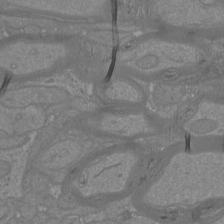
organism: Mouse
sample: Cortical neurons